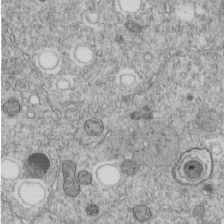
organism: C. elegans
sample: C. elegans embryo early stage